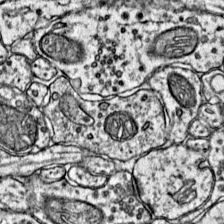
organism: Mouse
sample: Primary visual cortex